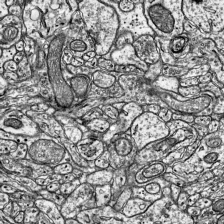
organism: Mouse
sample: Visual Cortex